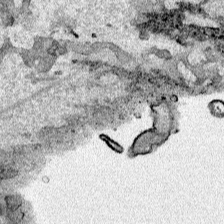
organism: Human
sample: Mitochondria in HCT116 cells